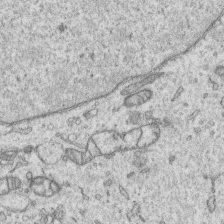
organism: Human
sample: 1205lu cells